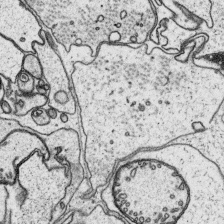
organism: Platynereis dumerilii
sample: Parapodia